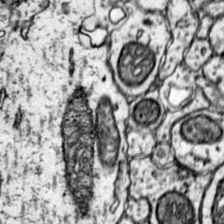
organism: Mouse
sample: Primary visual cortex